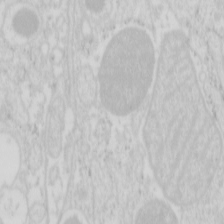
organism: Mouse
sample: Pancreas